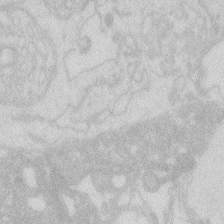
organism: Zebrafish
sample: Macrophage